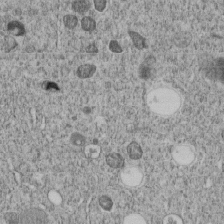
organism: C. elegans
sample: C. elegans embryo early stage